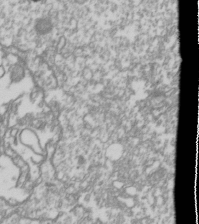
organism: Drosophila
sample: Cell division; meiosis; drosophila spermatocytes